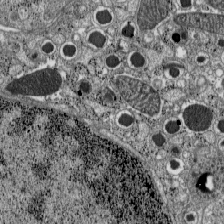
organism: C57BL Mouse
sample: Pancreatic islet